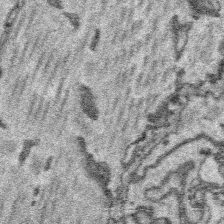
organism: Platynereis dumerilii